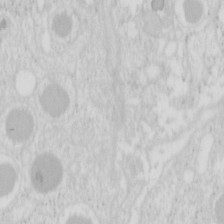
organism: Mouse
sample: Pancreas